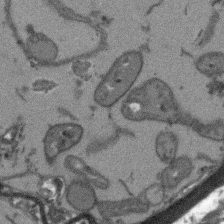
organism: Arabidopsis thaliana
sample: Root tip